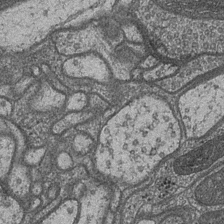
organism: Drosophila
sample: Optic medulla